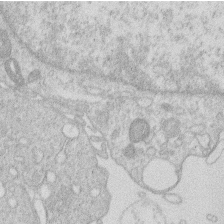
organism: Human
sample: Macrophage cells